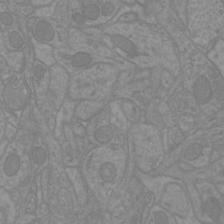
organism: Mouse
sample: Cortical neurons